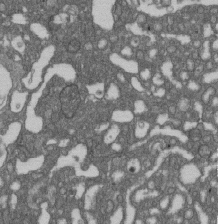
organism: Drosophila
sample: Nephrocyte